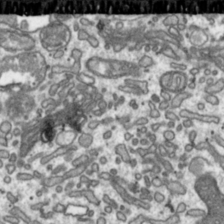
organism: Toxoplasma gondii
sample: Parasites in a vacuole inside a host cell